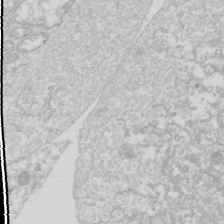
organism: Drosophila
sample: Cell division; meiosis; drosophila spermatocytes